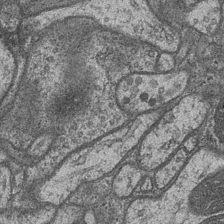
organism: Drosophila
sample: Optic medulla